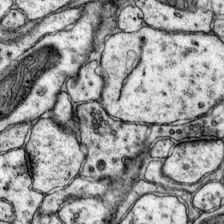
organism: Mouse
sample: Primary visual cortex